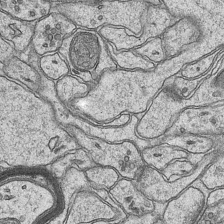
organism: Mouse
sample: CA1 Hippocampus